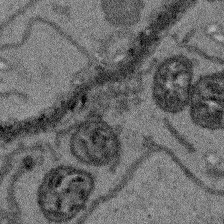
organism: Arabidopsis thaliana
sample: Root tip